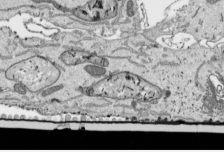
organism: Human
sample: Mitochondria in HCT116 cells